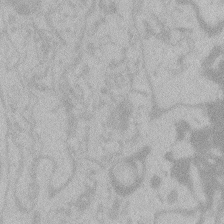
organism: Zebrafish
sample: Macrophage infected with Toxoplasma gondii